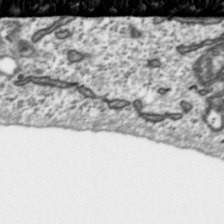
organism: Toxoplasma gondii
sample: Parasites in a vacuole inside a host cell